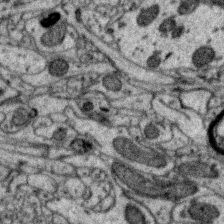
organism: Zebra finch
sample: Brain